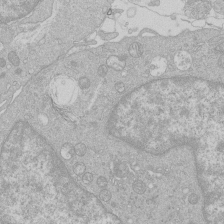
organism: Human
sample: Macrophage cells